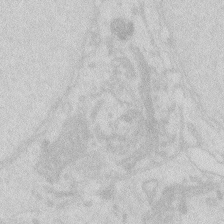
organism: Zebrafish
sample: Macrophage